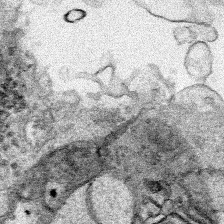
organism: Human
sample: Mitochondria in HCT116 cells